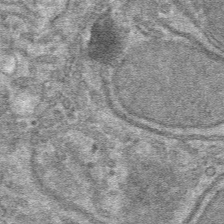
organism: Mouse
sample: Mouse hepatocytes